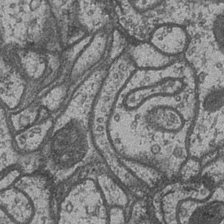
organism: Drosophila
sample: Optic medulla